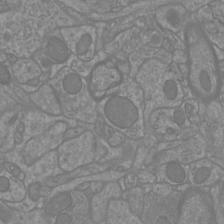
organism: Mouse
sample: Cortical neurons